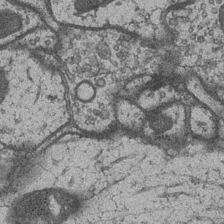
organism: Drosophila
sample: Optic medulla